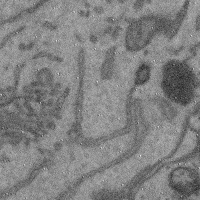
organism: Mouse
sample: Cerebral cortex